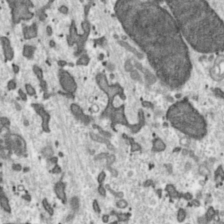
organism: Toxoplasma gondii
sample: Parasites in a vacuole inside a host cell